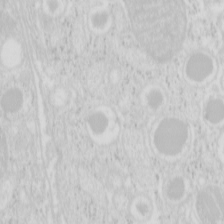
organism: Mouse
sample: Pancreas